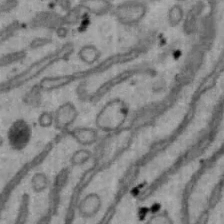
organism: Mouse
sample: Liver